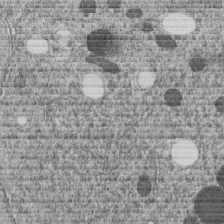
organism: C. elegans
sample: C. elegans embryo early stage